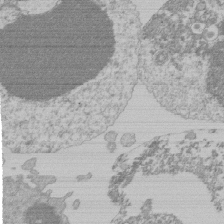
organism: Mouse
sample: Activated Pmel transgenic CD8+ T Cells